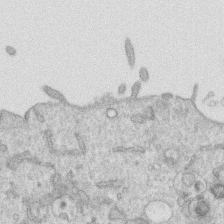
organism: Human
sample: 1205lu cells